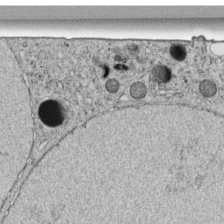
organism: C. elegans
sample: C. elegans embryo early stage